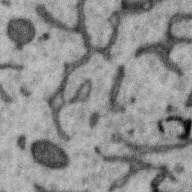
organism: Zebra finch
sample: Brain